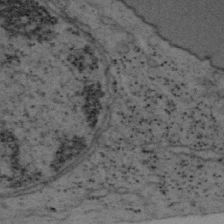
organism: Human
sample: HeLa cells